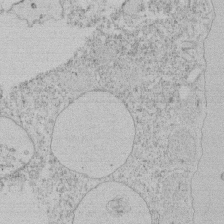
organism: Tetrahymena